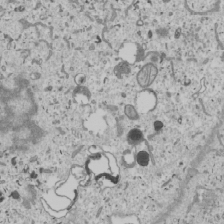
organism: Human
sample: Mitochondria in U2OS cells